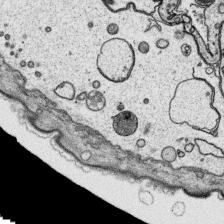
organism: Platynereis dumerilii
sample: Parapodia